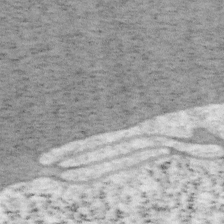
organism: Mouse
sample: OT-I killer T cells with ID8 ovarian cancer cells